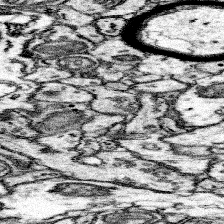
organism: Mouse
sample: Somatosensory cortex neuropil